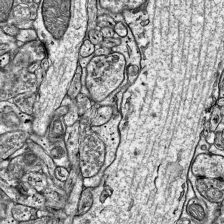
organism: Mouse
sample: Visual Cortex